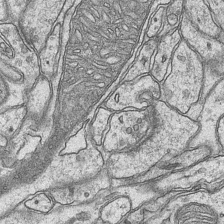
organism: Mouse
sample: CA1 Hippocampus